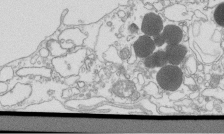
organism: Mouse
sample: Macrophages